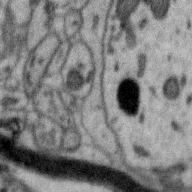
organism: Zebra finch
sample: Brain